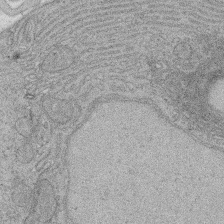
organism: Rat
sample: Salivary granule